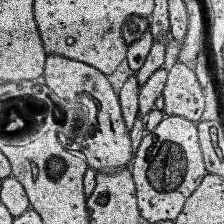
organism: Human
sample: Temporal Lobe